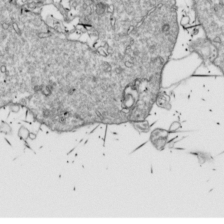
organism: Drosophila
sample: Cell division; meiosis; drosophila spermatocytes